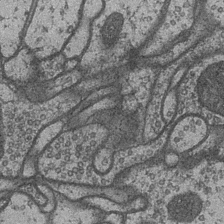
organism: Drosophila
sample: Optic medulla